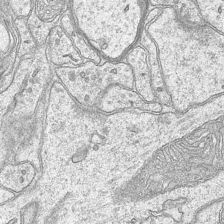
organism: Mouse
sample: CA1 Hippocampus